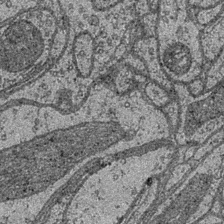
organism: Drosophila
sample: Optic medulla